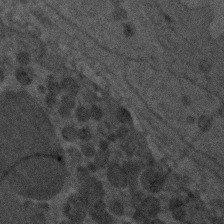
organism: Zebrafish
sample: Zebrafish embryo